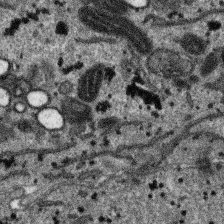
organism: Human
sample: Lung epithelial cells infected with SARS-CoV-2